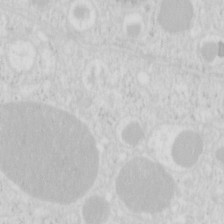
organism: Mouse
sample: Pancreas